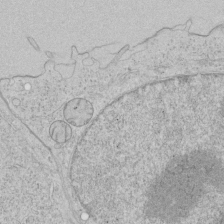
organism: Human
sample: Mitochondria in HCT116 cells